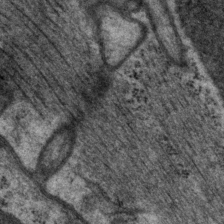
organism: P. pacificus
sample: Pharynx